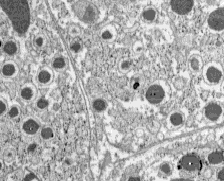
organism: C57BL Mouse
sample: Pancreatic islet